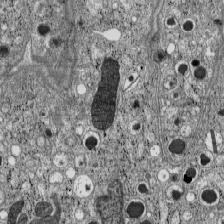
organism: C57BL Mouse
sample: Pancreatic islet